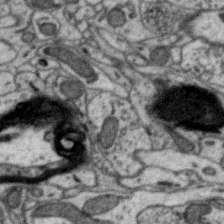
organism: Zebra finch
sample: Brain